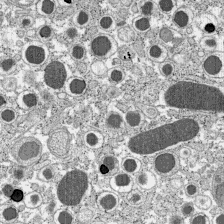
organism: C57BL Mouse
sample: Pancreatic islet